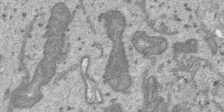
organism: Human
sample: Lung epithelial cells infected with SARS-CoV-2